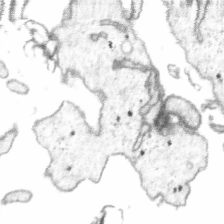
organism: Human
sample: HeLa cells